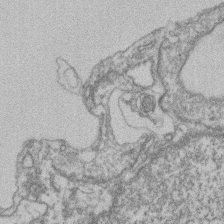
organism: Mouse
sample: T cell stromal cell synapse